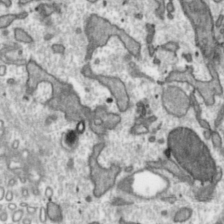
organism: Toxoplasma gondii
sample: Parasites in a vacuole inside a host cell